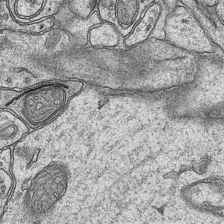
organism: Mouse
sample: CA1 Hippocampus